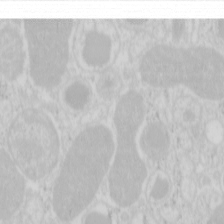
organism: Mouse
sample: Pancreas